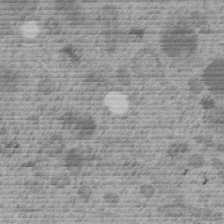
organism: C. elegans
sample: C. elegans embryo early stage